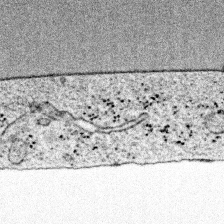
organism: Human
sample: HeLa cells